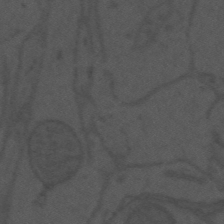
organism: Mouse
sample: Suprachiasmatic nucleus